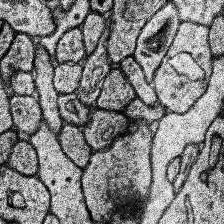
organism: Human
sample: Temporal Lobe